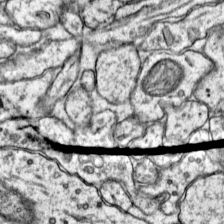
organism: Mouse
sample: Primary visual cortex